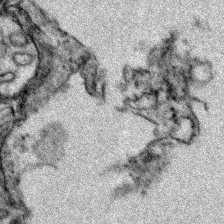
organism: Zebrafish